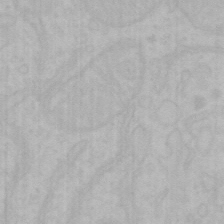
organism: Mouse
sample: Choroid plexus